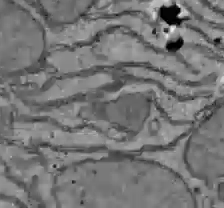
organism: C57BL Mouse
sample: Liver